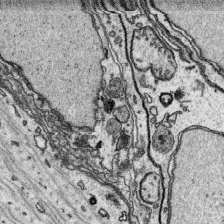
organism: Platynereis dumerilii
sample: Parapodia